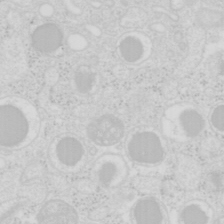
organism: Mouse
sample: Pancreas